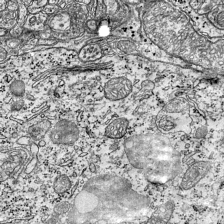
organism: Mouse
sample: Visual Cortex